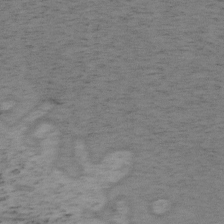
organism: Mouse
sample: OT-I killer T cells with ID8 ovarian cancer cells